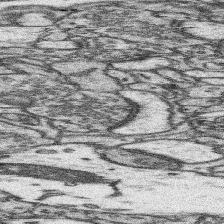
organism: Mouse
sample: Somatosensory cortex neuropil